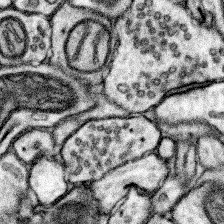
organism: Mouse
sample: Somatosensory cortex neuropil